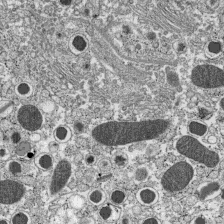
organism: C57BL Mouse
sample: Pancreatic islet